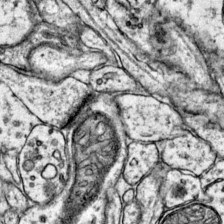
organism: Mouse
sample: Primary visual cortex